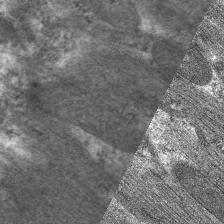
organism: C. elegans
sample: Pharynx